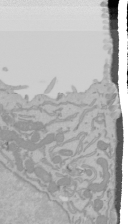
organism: Mouse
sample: Cancer cell death in ED-1 cells